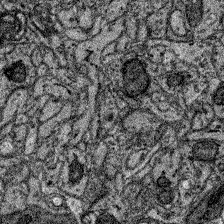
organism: Zebrafish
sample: Larval olfactory bulb